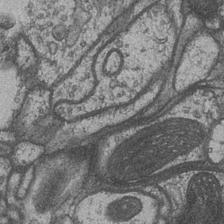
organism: Drosophila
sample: Optic medulla